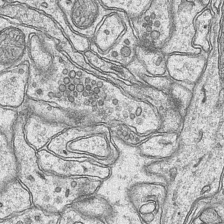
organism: Mouse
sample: CA1 Hippocampus